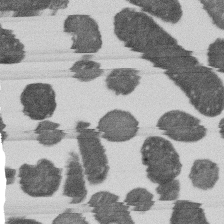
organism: E. coli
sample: Bacterial nucleoid